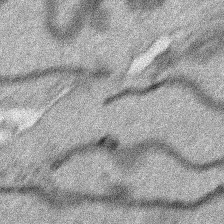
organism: Human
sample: Mitochondria in HCT116 cells